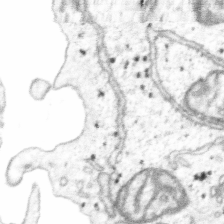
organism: Human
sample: HeLa cells